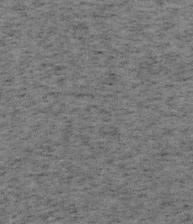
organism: Mouse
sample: OT-I killer T cells with ID8 ovarian cancer cells